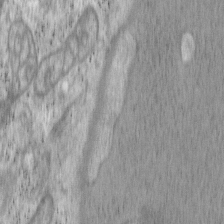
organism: Human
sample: HeLa cells